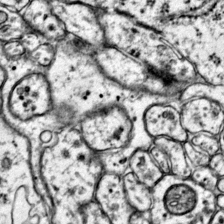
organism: Mouse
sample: Primary visual cortex